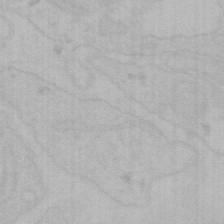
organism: Mouse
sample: Choroid plexus